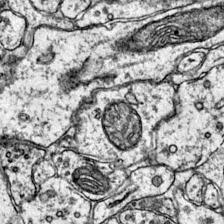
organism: Mouse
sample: Primary visual cortex